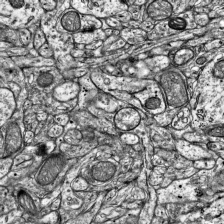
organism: Mouse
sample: Visual Cortex